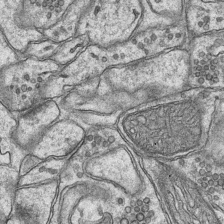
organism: Mouse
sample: CA1 Hippocampus